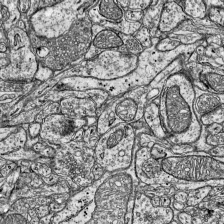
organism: Mouse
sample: Visual Cortex